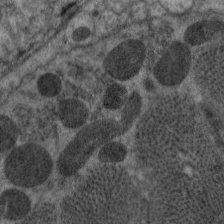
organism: C. elegans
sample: Pharynx